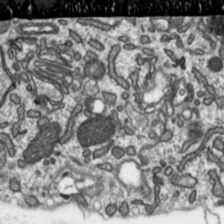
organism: Toxoplasma gondii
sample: Parasites in a vacuole inside a host cell